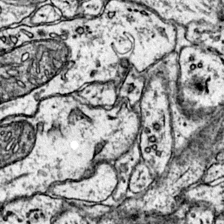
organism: Mouse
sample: Primary visual cortex